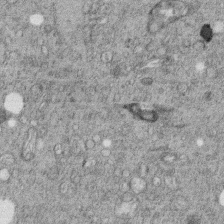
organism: C. elegans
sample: C. elegans embryo early stage